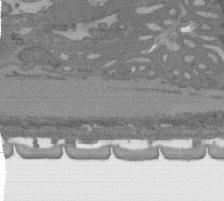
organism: C. elegans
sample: AFD neurons C. elegans